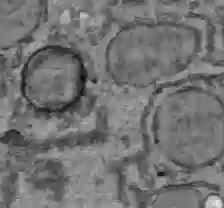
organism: C57BL Mouse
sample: Liver